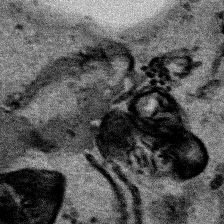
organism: Human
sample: Mitochondria in HCT116 cells